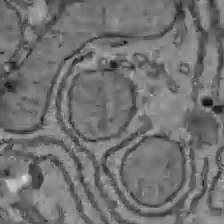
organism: C57BL Mouse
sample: Liver